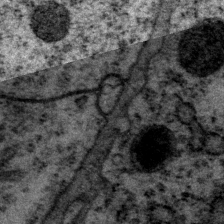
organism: P. pacificus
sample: Pharynx